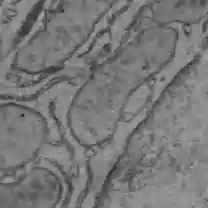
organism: C57BL Mouse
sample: Liver